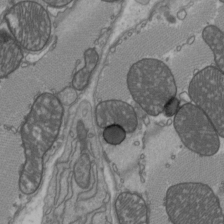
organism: C57BL Mouse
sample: Heart